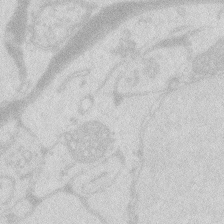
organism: Zebrafish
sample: Macrophage